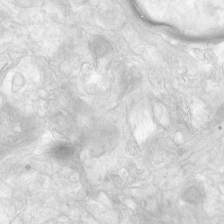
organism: Human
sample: Neocortex